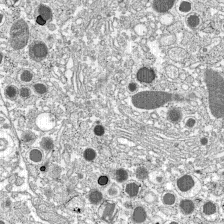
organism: C57BL Mouse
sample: Pancreatic islet